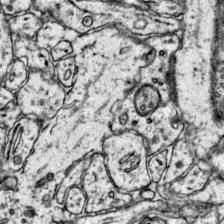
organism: Mouse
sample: Primary visual cortex